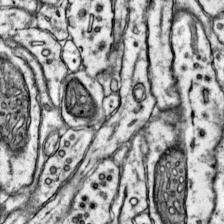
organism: Mouse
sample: Primary visual cortex